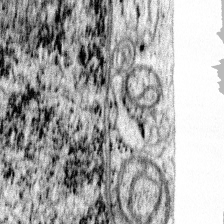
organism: Human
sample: HeLa cells